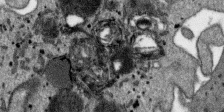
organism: Human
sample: Lung epithelial cells, uninfected (mock) control